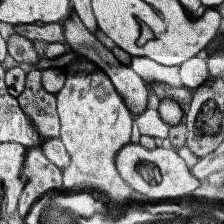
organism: Human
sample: Temporal Lobe